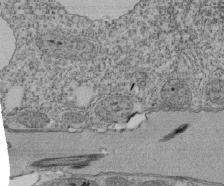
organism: Tetrahymena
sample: Cilia in tetrahymena